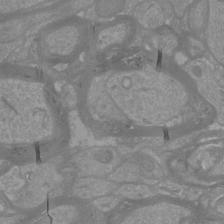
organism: Mouse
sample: Cortical neurons